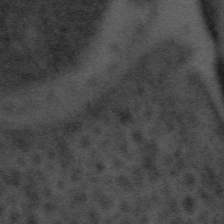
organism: Tuwongella immobilis